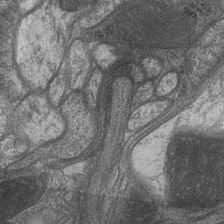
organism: Drosophila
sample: Optic medulla